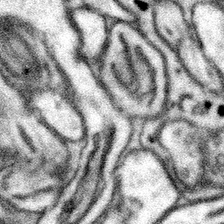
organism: Mouse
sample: Somatosensory cortex neuropil